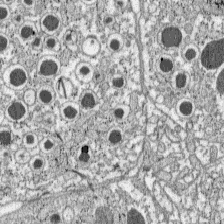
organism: C57BL Mouse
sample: Pancreatic islet